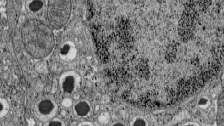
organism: C57BL Mouse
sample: Pancreatic islet